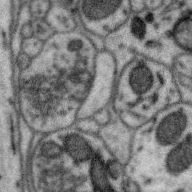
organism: Zebra finch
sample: Brain